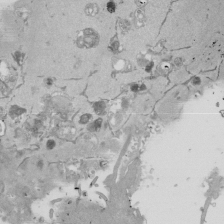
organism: Mouse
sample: ED-1 cell nuclei; centrioles